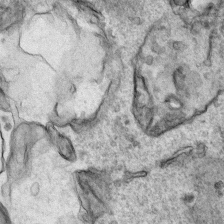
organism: Human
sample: Mitochondria in HCT116 cells